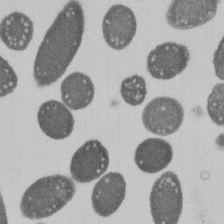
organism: E. coli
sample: Bacterial nucleoid